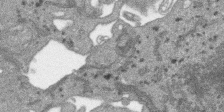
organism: Human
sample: Lung epithelial cells infected with SARS-CoV-2